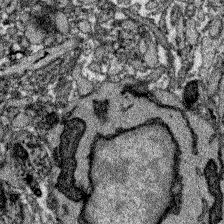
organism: Zebrafish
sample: Larval olfactory bulb